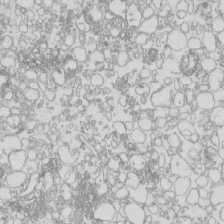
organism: Mouse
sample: Macrophages